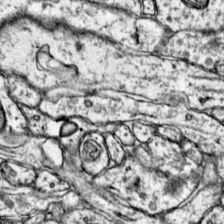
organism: Mouse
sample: Primary visual cortex